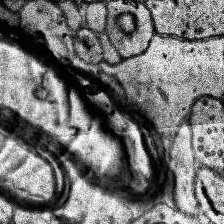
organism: Human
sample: Temporal Lobe